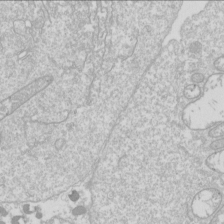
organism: Drosophila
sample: Cell division; meiosis; drosophila spermatocytes